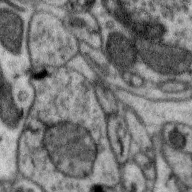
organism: Zebra finch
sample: Brain